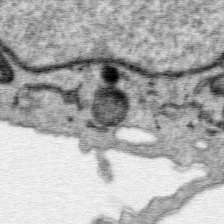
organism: Human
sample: HeLa cells